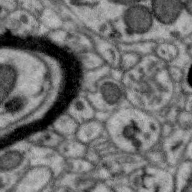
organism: Zebra finch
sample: Brain